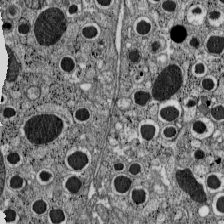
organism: C57BL Mouse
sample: Pancreatic islet